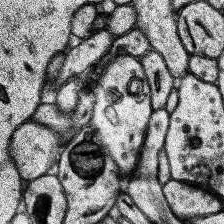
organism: Human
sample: Temporal Lobe